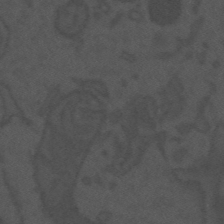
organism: Mouse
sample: Suprachiasmatic nucleus